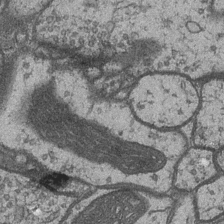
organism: Drosophila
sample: Optic medulla